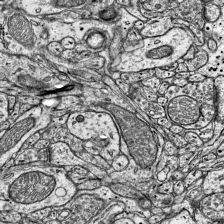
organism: Mouse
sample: Visual Cortex